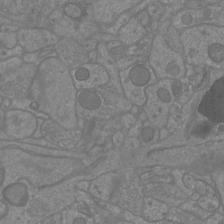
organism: Mouse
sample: Cortical neurons